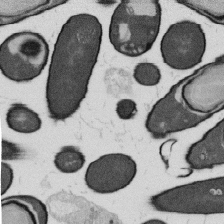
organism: B. subtilis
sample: Bacterial spore